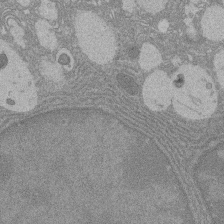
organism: Rat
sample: Salivary granule